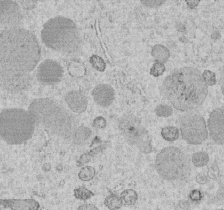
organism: C. elegans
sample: C. elegans embryo early stage